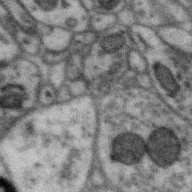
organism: Zebra finch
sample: Brain